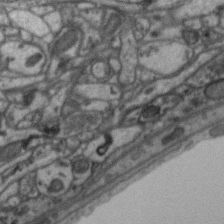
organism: Zebra finch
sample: Brain